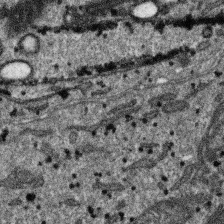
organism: Human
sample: Lung epithelial cells infected with SARS-CoV-2